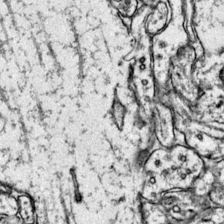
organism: Mouse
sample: Primary visual cortex